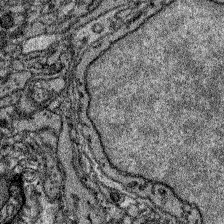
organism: Zebrafish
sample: Larval olfactory bulb